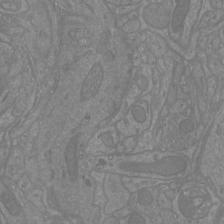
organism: Mouse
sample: Cortical neurons